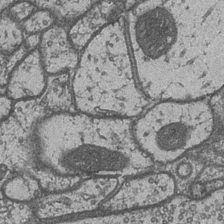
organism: Drosophila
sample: Optic medulla